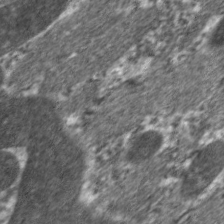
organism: C. elegans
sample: Pharynx